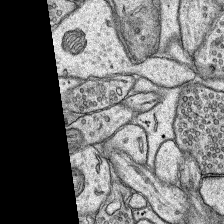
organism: Rat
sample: Hippocampus